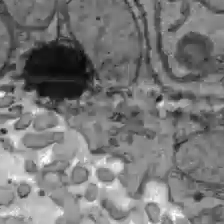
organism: C57BL Mouse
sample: Liver